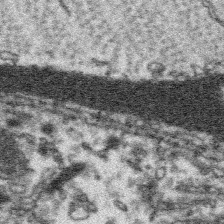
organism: Platynereis dumerilii